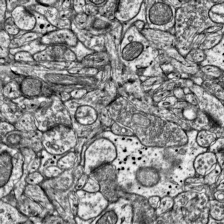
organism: Mouse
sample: Visual Cortex